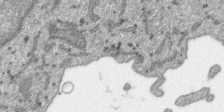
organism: Human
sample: Lung epithelial cells infected with SARS-CoV-2